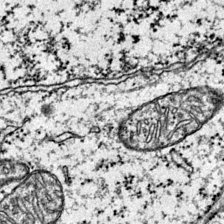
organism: Mouse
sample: Primary visual cortex